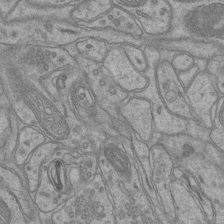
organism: Mouse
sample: CA1 Hippocampus